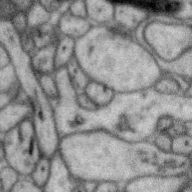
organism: Zebra finch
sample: Brain